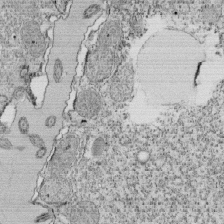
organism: Tetrahymena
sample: Cilia in tetrahymena